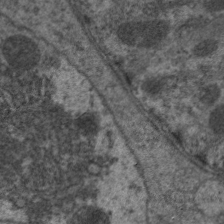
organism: C. elegans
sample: Pharynx